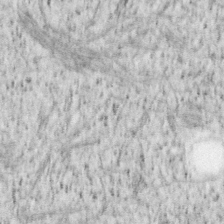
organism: Mouse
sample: OT-I killer T cells with ID8 ovarian cancer cells